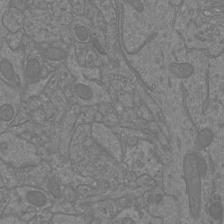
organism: Mouse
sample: Cortical neurons